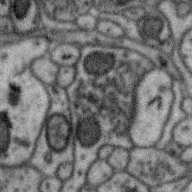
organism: Zebra finch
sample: Brain